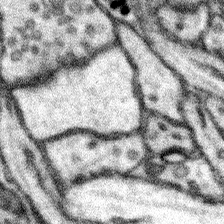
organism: Mouse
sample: Somatosensory cortex neuropil